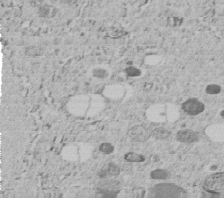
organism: C. elegans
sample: C. elegans embryo early stage